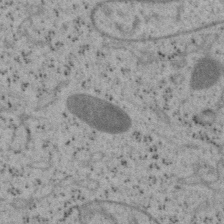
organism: Human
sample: HeLa cells